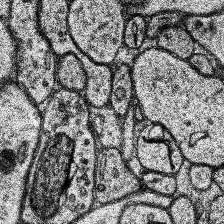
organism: Human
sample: Temporal Lobe